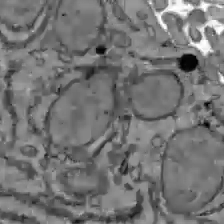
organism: C57BL Mouse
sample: Liver